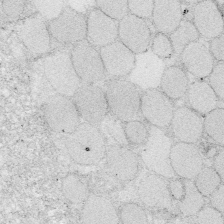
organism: Zebrafish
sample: Whole-Brain